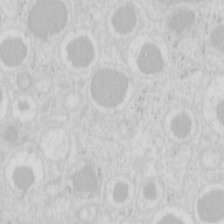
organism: Mouse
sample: Pancreas